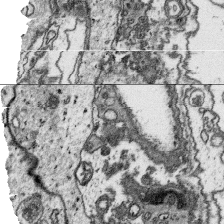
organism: Platynereis dumerilii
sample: Parapodia